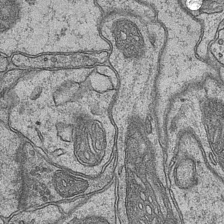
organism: Mouse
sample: CA1 Hippocampus